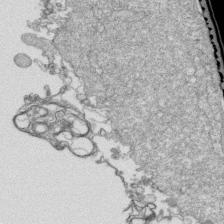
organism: Human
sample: HeLa cell HIV synapse